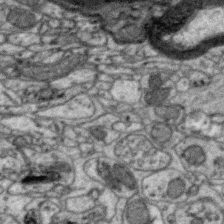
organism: Zebra finch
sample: Brain